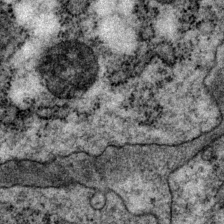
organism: P. pacificus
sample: Pharynx